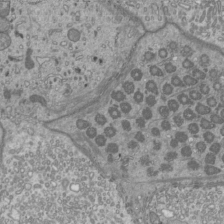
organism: Mouse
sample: Cilia; mouse epididymis